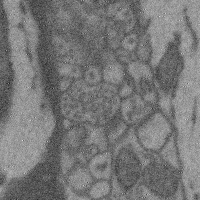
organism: Mouse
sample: Cerebral cortex